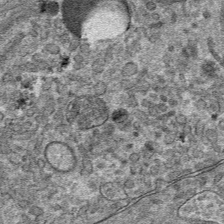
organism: Mouse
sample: Mouse hepatocytes